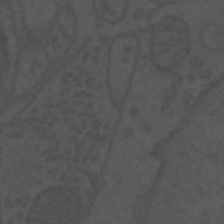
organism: Mouse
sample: Suprachiasmatic nucleus